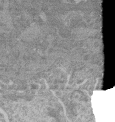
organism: Mouse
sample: Glomerulus